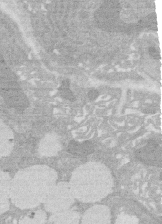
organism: Rat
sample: Salivary granule